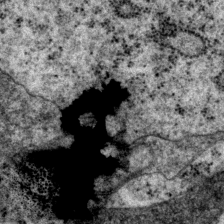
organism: P. pacificus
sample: Pharynx